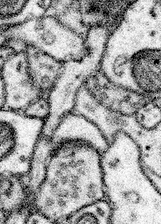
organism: Mouse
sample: Somatosensory cortex neuropil